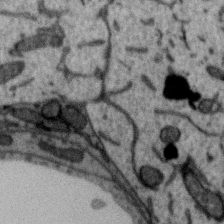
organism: Zebra finch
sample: Brain